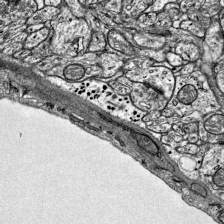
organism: Mouse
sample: Visual Cortex